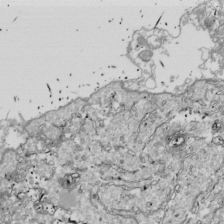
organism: Drosophila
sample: Cell division; meiosis; drosophila spermatocytes